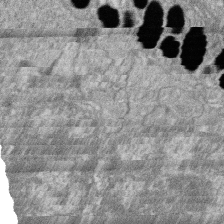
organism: Zebrafish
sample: Cilia; retinal pigment epithelium